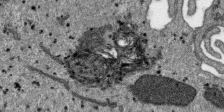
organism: Human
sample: Lung epithelial cells, uninfected (mock) control